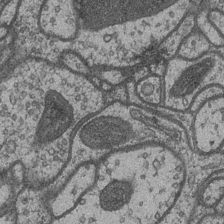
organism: Drosophila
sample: Optic medulla